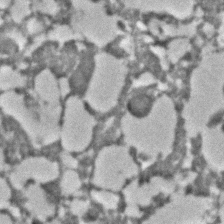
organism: C. elegans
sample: C. elegans embryo